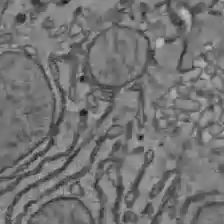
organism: C57BL Mouse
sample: Liver